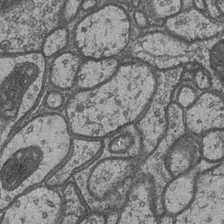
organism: Drosophila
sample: Optic medulla